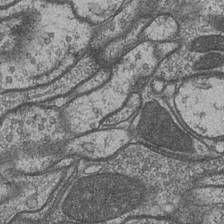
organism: Drosophila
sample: Optic medulla